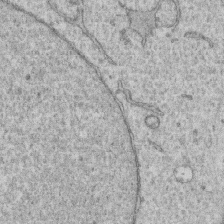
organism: Human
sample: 1205lu cells